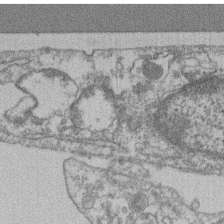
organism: Mouse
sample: T cell stromal cell synapse